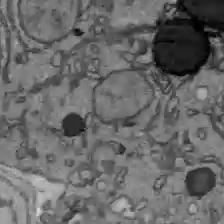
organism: C57BL Mouse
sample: Liver